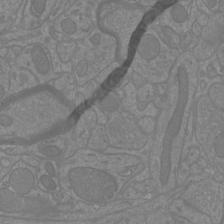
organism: Mouse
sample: Cortical neurons